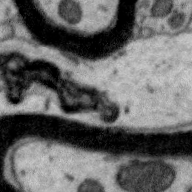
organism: Zebra finch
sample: Brain